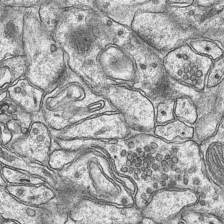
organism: Mouse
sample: CA1 Hippocampus